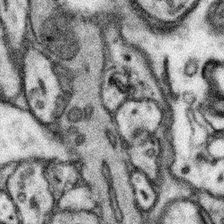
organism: Mouse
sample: Somatosensory cortex neuropil